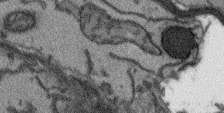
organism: Arabidopsis thaliana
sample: Root tip